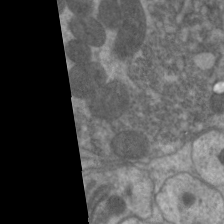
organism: C. elegans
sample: Pharynx